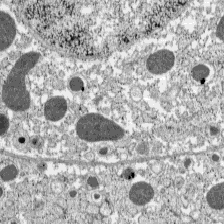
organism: C57BL Mouse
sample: Pancreatic islet